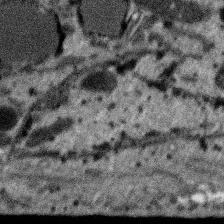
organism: Human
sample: Lung epithelial cells infected with SARS-CoV-2